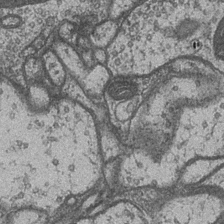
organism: Drosophila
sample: Optic medulla